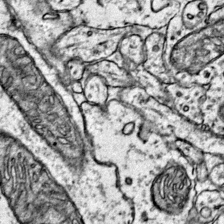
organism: Mouse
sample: Primary visual cortex